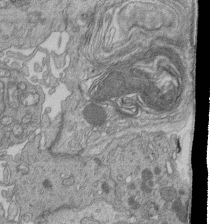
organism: Human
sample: Retinal organoid Rod and Cone cells